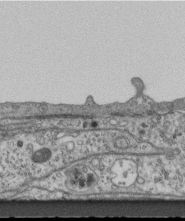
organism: Mouse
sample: Centriole in ependymal cells